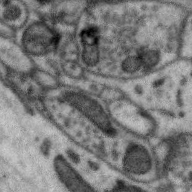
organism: Zebra finch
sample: Brain